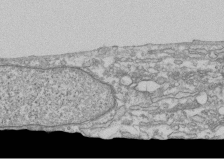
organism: Human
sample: Fibroblast cells